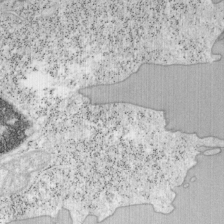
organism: Mouse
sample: OT-I killer T cells with ID8 ovarian cancer cells